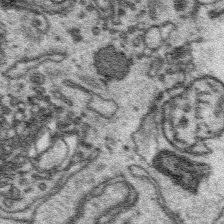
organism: Platynereis dumerilii